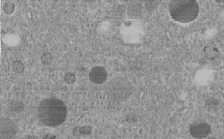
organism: C. elegans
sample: C. elegans embryo early stage